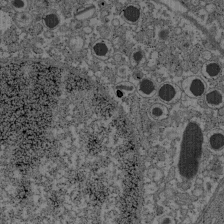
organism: C57BL Mouse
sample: Pancreatic islet